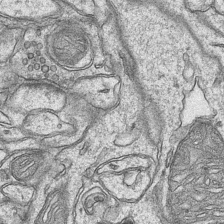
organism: Mouse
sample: CA1 Hippocampus